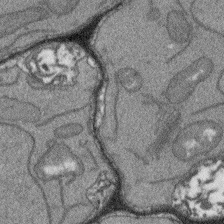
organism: Arabidopsis thaliana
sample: Root tip